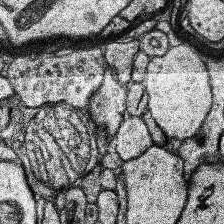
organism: Human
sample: Temporal Lobe